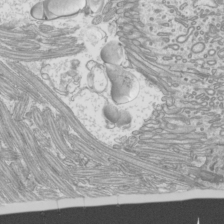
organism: Mouse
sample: Cilia; mouse epididymis